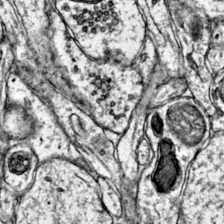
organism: Mouse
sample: Primary visual cortex